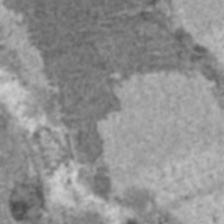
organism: C57BL Mouse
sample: Heart